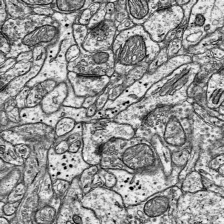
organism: Mouse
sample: Visual Cortex